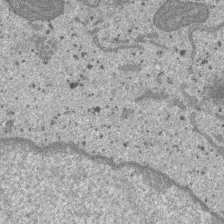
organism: Human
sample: Lung epithelial cells infected with SARS-CoV-2